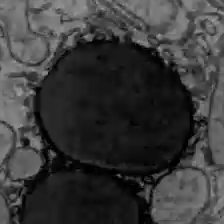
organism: C57BL Mouse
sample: Liver